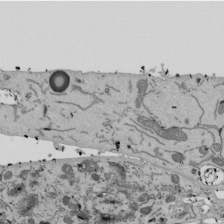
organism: Mouse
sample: ED-1 cell nuclei; centrioles